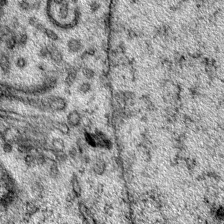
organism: Mouse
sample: Primary visual cortex